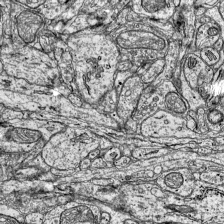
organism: Mouse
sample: Visual Cortex